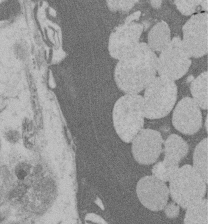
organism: Rat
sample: Salivary granule